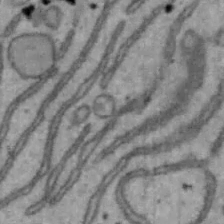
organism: Mouse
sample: Liver